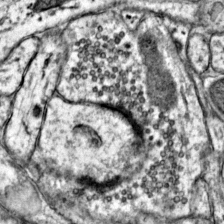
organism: Mouse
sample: Primary visual cortex